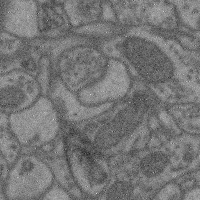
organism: Mouse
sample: Cerebral cortex